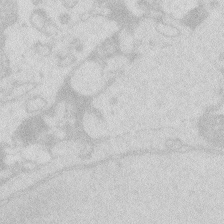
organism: Zebrafish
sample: Macrophage